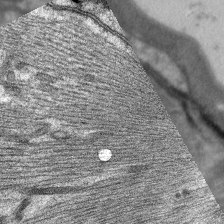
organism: C. elegans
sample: Pharynx